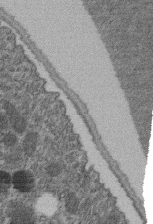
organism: C. elegans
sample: C. elegans embryo early stage